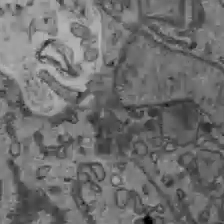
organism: C57BL Mouse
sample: Liver